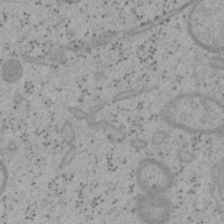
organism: Human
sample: HeLa cells